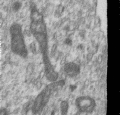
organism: Human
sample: Centriole in RPE cells